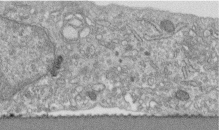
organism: Human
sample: Centriole in fibroblast cells